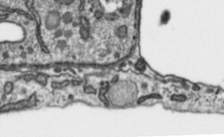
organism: Toxoplasma gondii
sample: Parasites in a vacuole inside a host cell